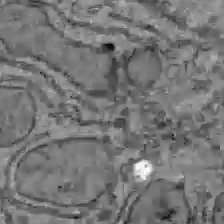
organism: C57BL Mouse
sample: Liver